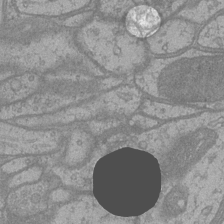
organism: Drosophila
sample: Optic medulla